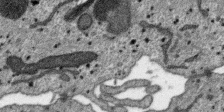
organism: Human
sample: Lung epithelial cells, uninfected (mock) control